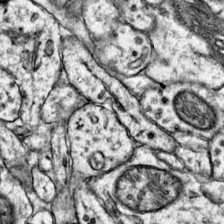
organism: Mouse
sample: Primary visual cortex